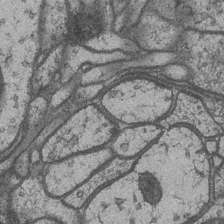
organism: Drosophila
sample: Optic medulla